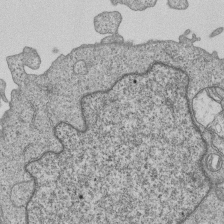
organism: Human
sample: MDA-MB-231 cells